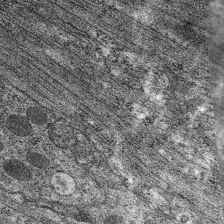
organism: C. elegans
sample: Pharynx